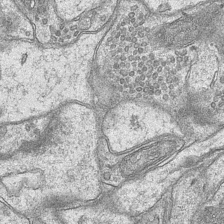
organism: Mouse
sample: CA1 Hippocampus